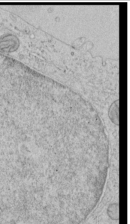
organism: Human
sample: Mitochondria in HCT116 cells